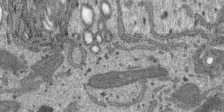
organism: Human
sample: Lung epithelial cells infected with SARS-CoV-2